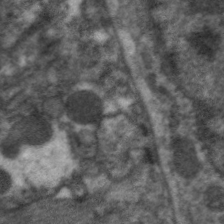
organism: C. elegans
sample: Pharynx